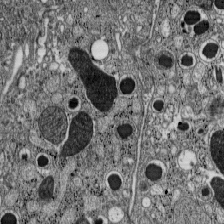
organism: C57BL Mouse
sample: Pancreatic islet